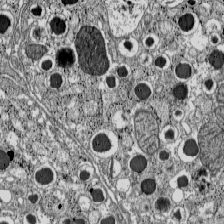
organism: C57BL Mouse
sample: Pancreatic islet